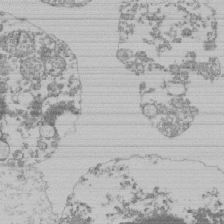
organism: Mouse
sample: Activated Pmel transgenic CD8+ T Cells